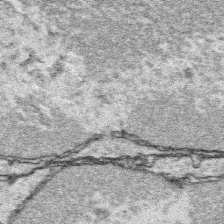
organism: Platynereis dumerilii